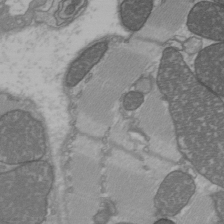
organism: C57BL Mouse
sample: Heart